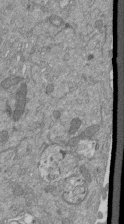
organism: Mouse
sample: ED-1 cell nuclei; centrioles